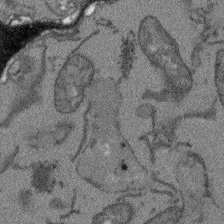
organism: Arabidopsis thaliana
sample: Root tip